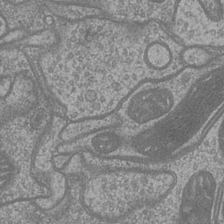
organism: Drosophila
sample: Optic medulla